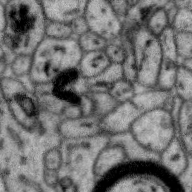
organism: Zebra finch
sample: Brain